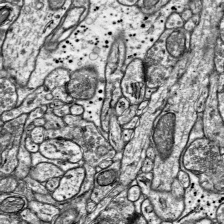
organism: Mouse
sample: Visual Cortex